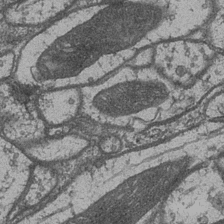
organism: Drosophila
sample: Optic medulla